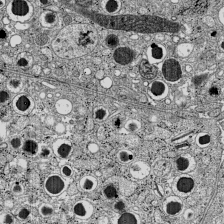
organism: C57BL Mouse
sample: Pancreatic islet